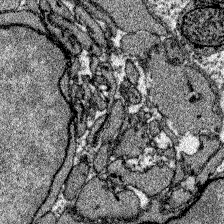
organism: Zebrafish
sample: Larval olfactory bulb